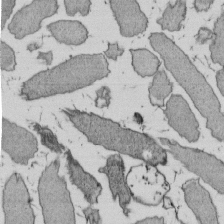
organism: E. coli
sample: Bacterial nucleoid